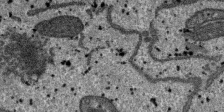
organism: Human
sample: Lung epithelial cells, uninfected (mock) control